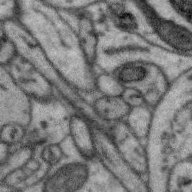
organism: Zebra finch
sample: Brain